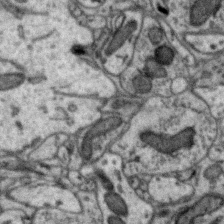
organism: Zebra finch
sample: Brain